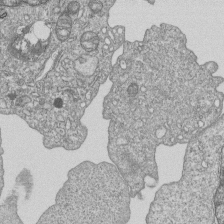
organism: Human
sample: MDA-MB-231 cells